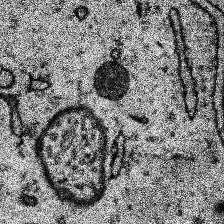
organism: Human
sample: Temporal Lobe